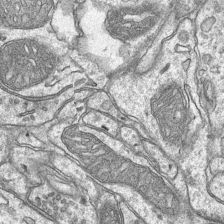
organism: Mouse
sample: CA1 Hippocampus